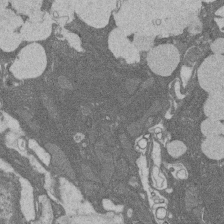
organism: Rat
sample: Salivary granule